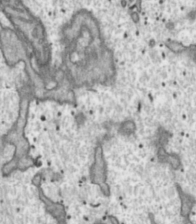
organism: Toxoplasma gondii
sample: Parasites in a vacuole inside a host cell